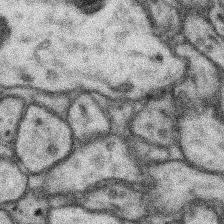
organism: Mouse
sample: Somatosensory cortex neuropil